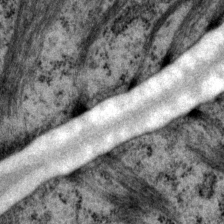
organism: P. pacificus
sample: Pharynx